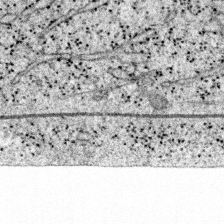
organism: Human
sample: HeLa cells